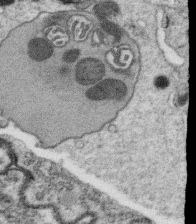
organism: C. elegans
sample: C. elegans oocyte; sperm cells